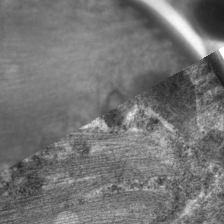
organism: C. elegans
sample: Pharynx